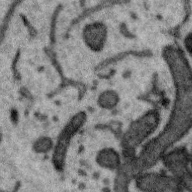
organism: Zebra finch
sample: Brain